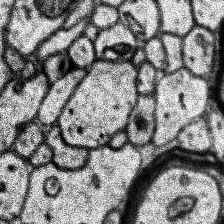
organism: Human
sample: Temporal Lobe